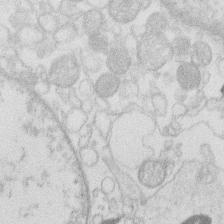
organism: Human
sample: Macrophage cells